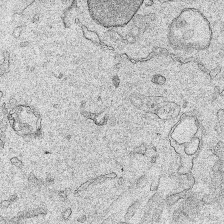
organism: Human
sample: Mitochondria in HCT116 cells